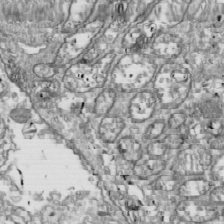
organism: Drosophila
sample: Cell division; meiosis; drosophila spermatocytes